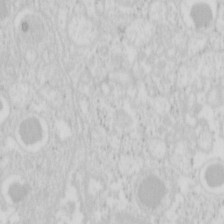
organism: Mouse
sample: Pancreas